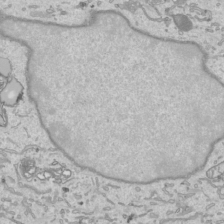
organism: Human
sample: Mitochondria in HCT116 cells